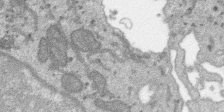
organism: Human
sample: Lung epithelial cells infected with SARS-CoV-2